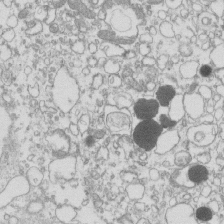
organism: Mouse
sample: Macrophages